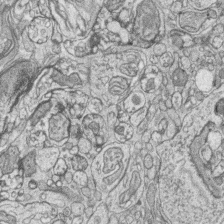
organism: Zebrafish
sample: synaptic ribbons in rod cells and cone cells